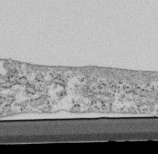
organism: Mouse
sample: Cilia; retinal pigment epithelium